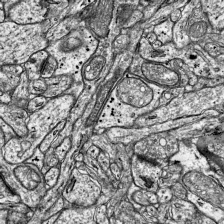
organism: Mouse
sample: Visual Cortex